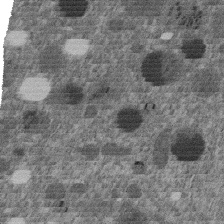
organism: C. elegans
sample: C. elegans embryo early stage